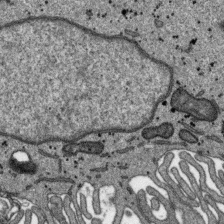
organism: Human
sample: Lung epithelial cells, uninfected (mock) control